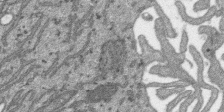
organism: Human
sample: Lung epithelial cells infected with SARS-CoV-2